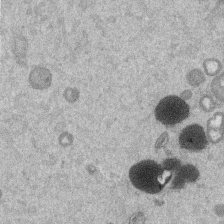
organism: Mouse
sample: Dividing mouse embryo 1 cell stage